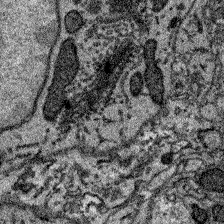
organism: Zebrafish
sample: Larval olfactory bulb